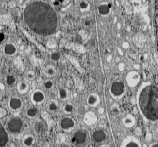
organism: C57BL Mouse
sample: Pancreatic islet